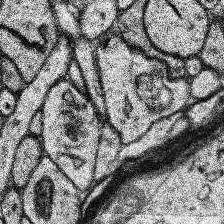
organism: Human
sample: Temporal Lobe